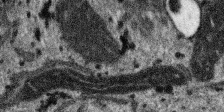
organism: Human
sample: Lung epithelial cells infected with SARS-CoV-2